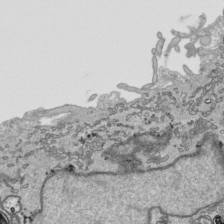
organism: Human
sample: Mitochondria in HCT116 cells